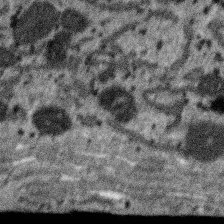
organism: Human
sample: Lung epithelial cells infected with SARS-CoV-2